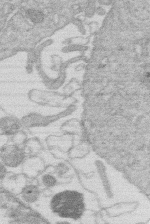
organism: Human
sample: Macrophage cells